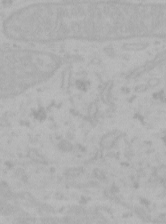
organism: Mouse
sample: Choroid plexus